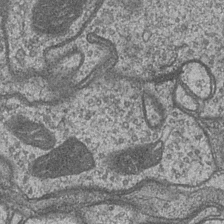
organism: Drosophila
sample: Optic medulla